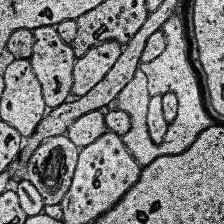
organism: Human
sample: Temporal Lobe